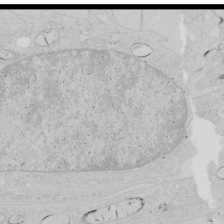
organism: Human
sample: Mitochondria in HCT116 cells